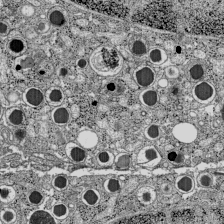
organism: C57BL Mouse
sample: Pancreatic islet